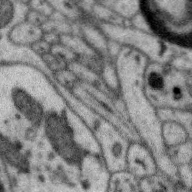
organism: Zebra finch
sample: Brain